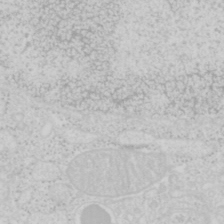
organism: Mouse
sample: Pancreas